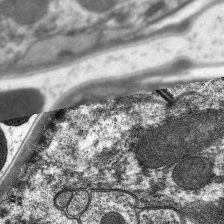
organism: C. elegans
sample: Pharynx